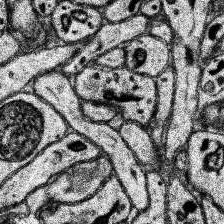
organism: Human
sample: Temporal Lobe